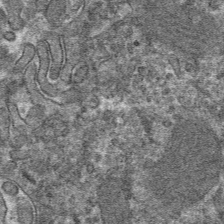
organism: Mouse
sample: Mouse hepatocytes